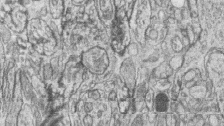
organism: Zebrafish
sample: synaptic ribbons in rod cells and cone cells